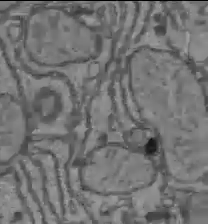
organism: C57BL Mouse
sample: Liver